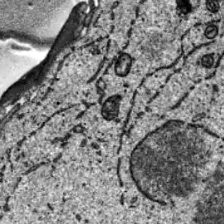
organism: Human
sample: HeLa cells